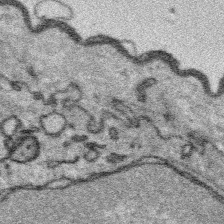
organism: Platynereis dumerilii